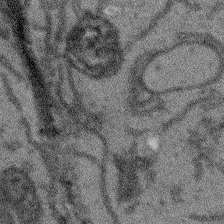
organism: Arabidopsis thaliana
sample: Root tip